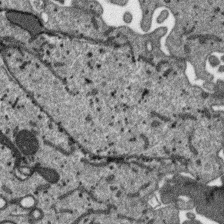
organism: Human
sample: Lung epithelial cells infected with SARS-CoV-2